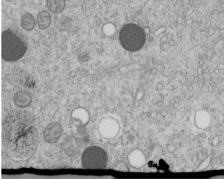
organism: C. elegans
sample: C. elegans embryo early stage